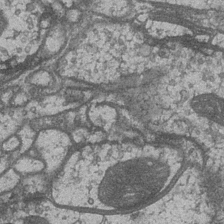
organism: Drosophila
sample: Optic medulla